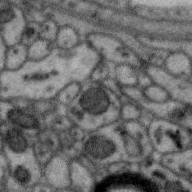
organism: Zebra finch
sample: Brain